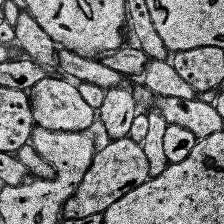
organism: Human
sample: Temporal Lobe